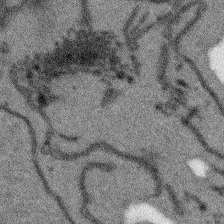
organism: Arabidopsis thaliana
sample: Root tip